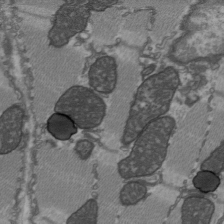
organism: C57BL Mouse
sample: Heart